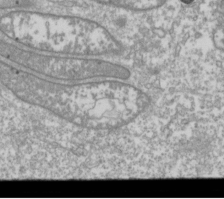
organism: Drosophila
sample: Cell division; meiosis; drosophila spermatocytes